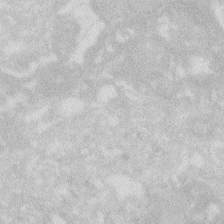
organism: Zebrafish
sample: Macrophage